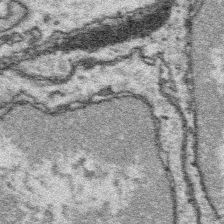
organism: Platynereis dumerilii